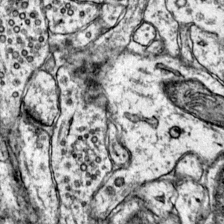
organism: Mouse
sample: Primary visual cortex